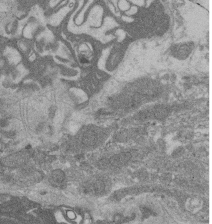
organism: Rat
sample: Salivary granule